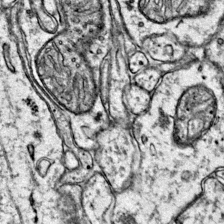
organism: Mouse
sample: Primary visual cortex